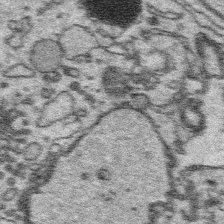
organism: Platynereis dumerilii